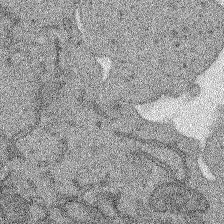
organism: Human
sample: HeLa cells